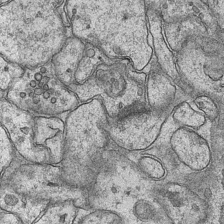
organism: Mouse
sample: CA1 Hippocampus